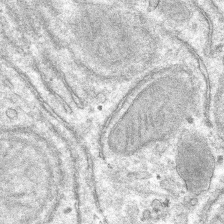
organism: Mouse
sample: Mouse hepatocytes